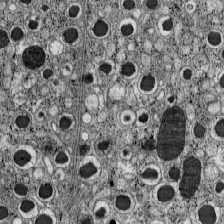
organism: C57BL Mouse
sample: Pancreatic islet